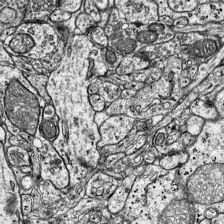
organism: Mouse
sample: Visual Cortex